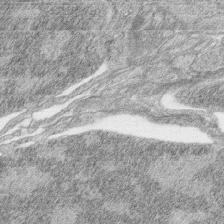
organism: Zebrafish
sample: synaptic ribbons in rod cells and cone cells